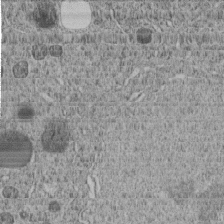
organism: C. elegans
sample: C. elegans embryo early stage